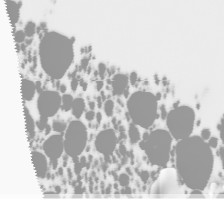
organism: Human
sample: THP-1 cells